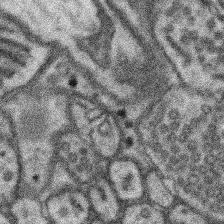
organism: Mouse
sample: Somatosensory cortex neuropil